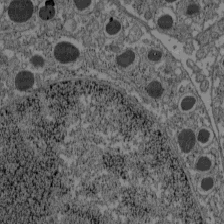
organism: C57BL Mouse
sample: Pancreatic islet